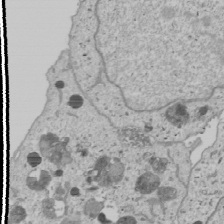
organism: Human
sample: Mitochondria in U2OS cells